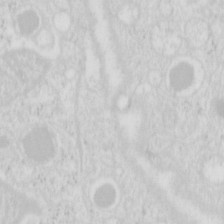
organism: Mouse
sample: Pancreas